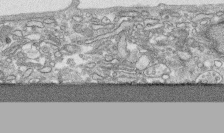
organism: Human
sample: CRL-1474